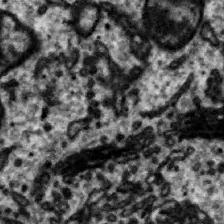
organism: Human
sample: HeLa cells